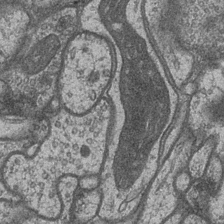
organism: Drosophila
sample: Optic medulla